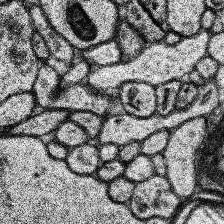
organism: Human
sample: Temporal Lobe